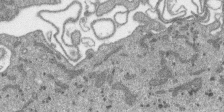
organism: Human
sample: Lung epithelial cells infected with SARS-CoV-2